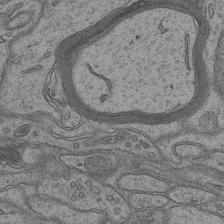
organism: Mouse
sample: CA1 Hippocampus